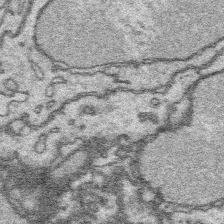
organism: Platynereis dumerilii